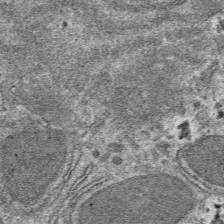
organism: Mouse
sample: Mouse hepatocytes